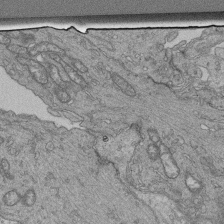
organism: Human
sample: Retinal organoid Rod and Cone cells